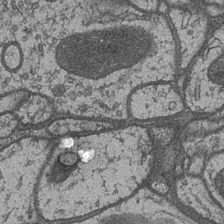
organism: Drosophila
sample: Optic medulla